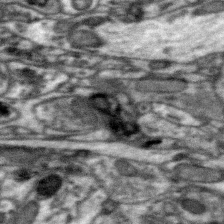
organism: Zebra finch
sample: Brain